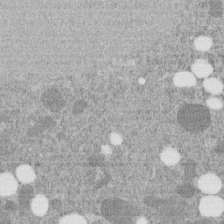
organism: C. elegans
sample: C. elegans embryo early stage